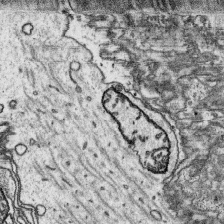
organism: Platynereis dumerilii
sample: Parapodia